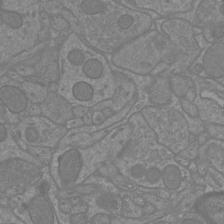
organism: Mouse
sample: Cortical neurons